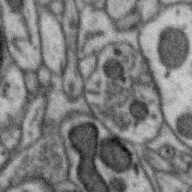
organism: Zebra finch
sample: Brain